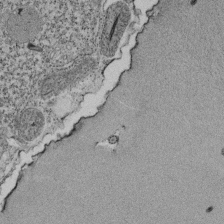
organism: Tetrahymena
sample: Cilia in tetrahymena